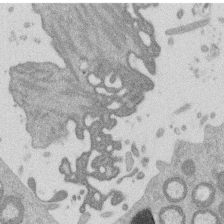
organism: Mouse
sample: Dividing mouse embryo 1 cell stage